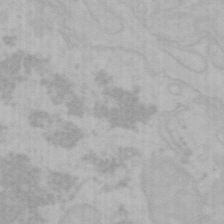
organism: Mouse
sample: Choroid plexus